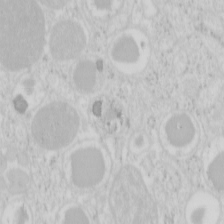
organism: Mouse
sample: Pancreas